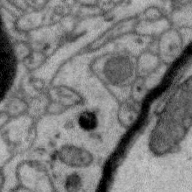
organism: Zebra finch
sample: Brain